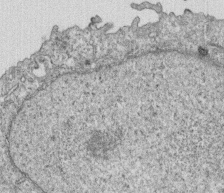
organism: Human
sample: HeLa cell HIV synapse